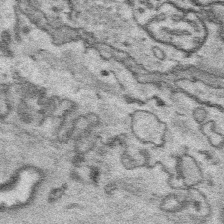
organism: Platynereis dumerilii